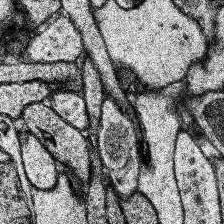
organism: Human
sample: Temporal Lobe